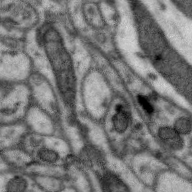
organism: Zebra finch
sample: Brain